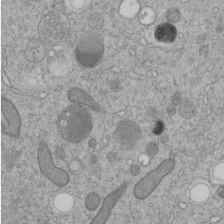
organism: C. elegans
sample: C. elegans embryo early stage